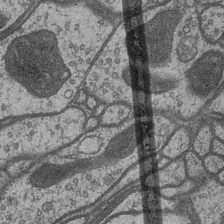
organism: Drosophila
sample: Optic medulla